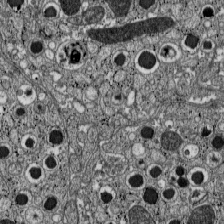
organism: C57BL Mouse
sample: Pancreatic islet